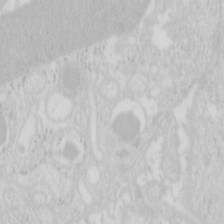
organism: Mouse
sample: Pancreas